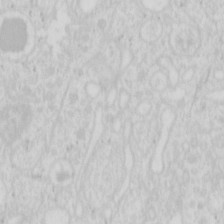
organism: Mouse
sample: Pancreas